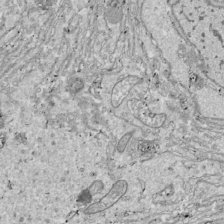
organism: Drosophila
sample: Cell division; meiosis; drosophila spermatocytes